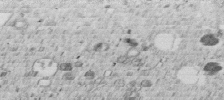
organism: C. elegans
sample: C. elegans embryo early stage